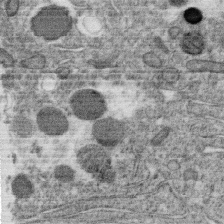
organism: C. elegans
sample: C. elegans oocyte; sperm cells